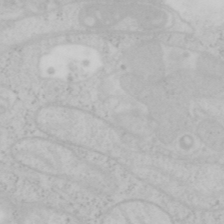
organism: Mouse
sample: OT-I killer T cells with ID8 ovarian cancer cells